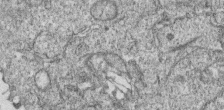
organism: Human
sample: HeLa cell HIV synapse